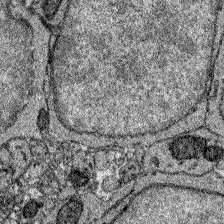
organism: Zebrafish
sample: Larval olfactory bulb